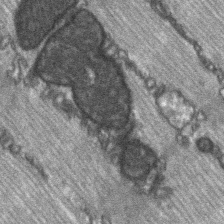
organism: C57BL Mouse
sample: Soleus